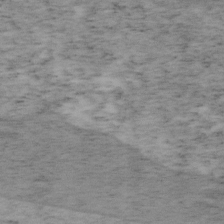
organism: Mouse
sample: OT-I killer T cells with ID8 ovarian cancer cells